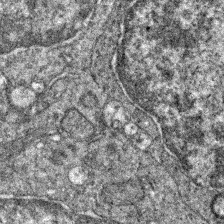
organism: Zebrafish